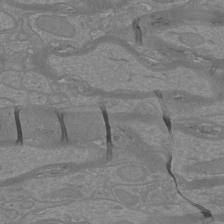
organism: Mouse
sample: Cortical neurons